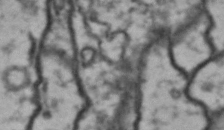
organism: Drosophila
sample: Brain